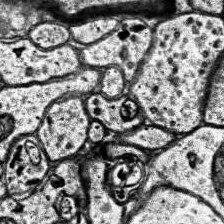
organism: Human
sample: Temporal Lobe